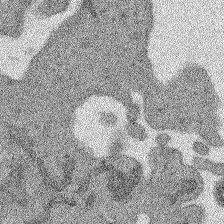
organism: Human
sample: HeLa cells